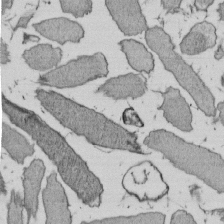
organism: E. coli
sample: Bacterial nucleoid